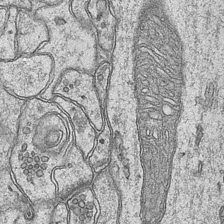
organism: Mouse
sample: CA1 Hippocampus